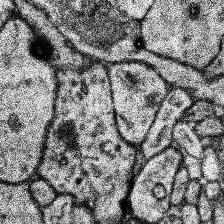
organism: Human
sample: Temporal Lobe